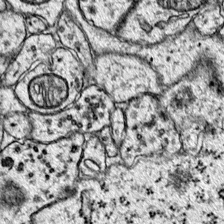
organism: Mouse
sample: Primary visual cortex